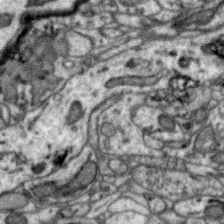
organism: Zebra finch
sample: Brain